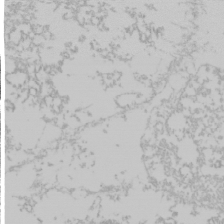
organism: Mouse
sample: Cancer cell death in ED-1 cells